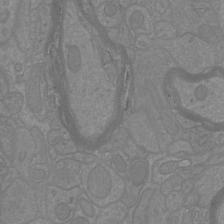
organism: Mouse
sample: Cortical neurons